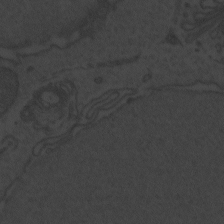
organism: Zebrafish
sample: Macrophage infected with Toxoplasma gondii